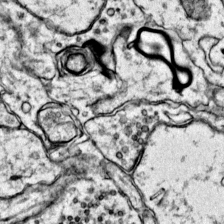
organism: Mouse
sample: Primary visual cortex